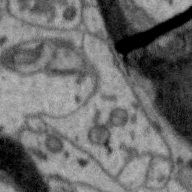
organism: Zebra finch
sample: Brain